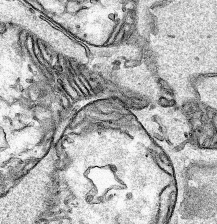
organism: Human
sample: Mitochondria in HCT116 cells